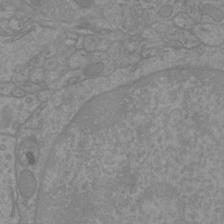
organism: Mouse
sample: Cortical neurons